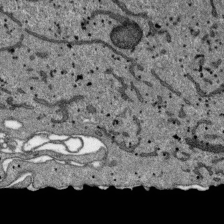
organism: Human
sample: Lung epithelial cells, uninfected (mock) control